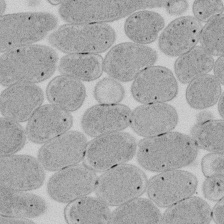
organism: E. coli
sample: Bacterial nucleoid